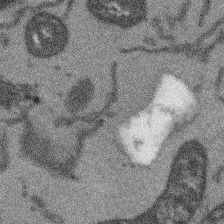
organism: Arabidopsis thaliana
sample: Root tip